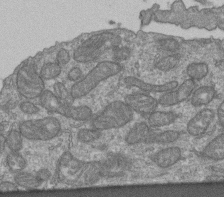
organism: Human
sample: Retinal organoid Rod and Cone cells